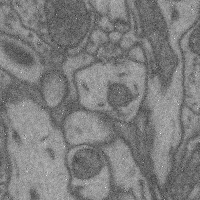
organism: Mouse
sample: Cerebral cortex